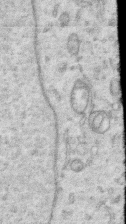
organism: Human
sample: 1205lu cells